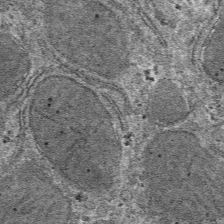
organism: Mouse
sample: Mouse hepatocytes